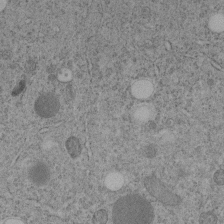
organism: C. elegans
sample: C. elegans embryo early stage